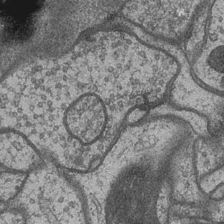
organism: Drosophila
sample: Optic medulla